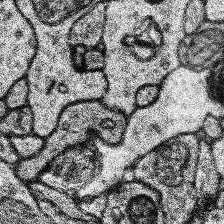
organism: Human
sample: Temporal Lobe